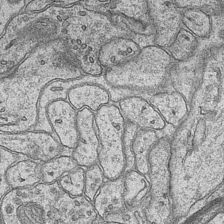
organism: Mouse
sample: CA1 Hippocampus